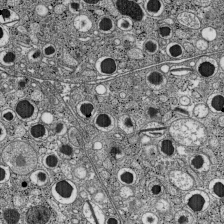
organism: C57BL Mouse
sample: Pancreatic islet